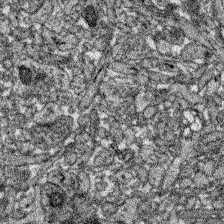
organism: Zebrafish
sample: Larval olfactory bulb